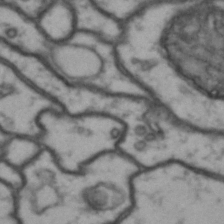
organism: Drosophila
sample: Brain